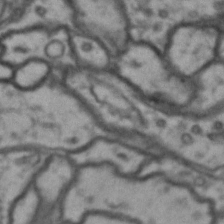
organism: Drosophila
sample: Brain